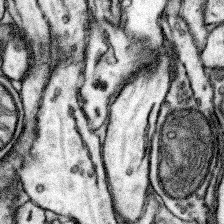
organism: Mouse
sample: Somatosensory cortex neuropil